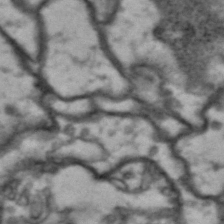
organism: Drosophila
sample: Brain